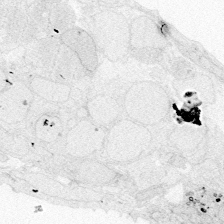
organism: Zebrafish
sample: Whole-Brain